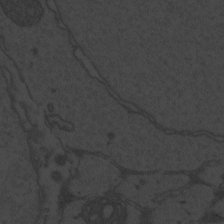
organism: Zebrafish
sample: Macrophage infected with Toxoplasma gondii